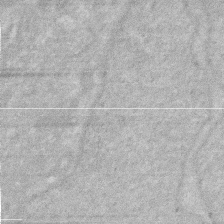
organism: Human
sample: HIV infected U937 cells